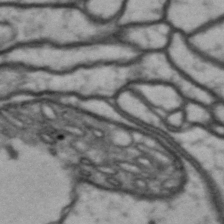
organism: Drosophila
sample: Brain